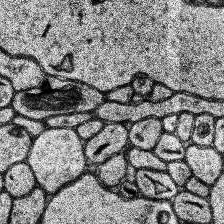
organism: Human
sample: Temporal Lobe